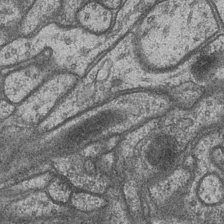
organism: Drosophila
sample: Optic medulla